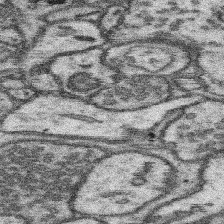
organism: Mouse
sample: Somatosensory cortex neuropil